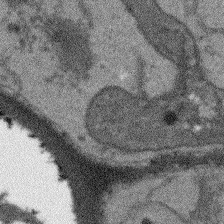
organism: Arabidopsis thaliana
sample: Root tip